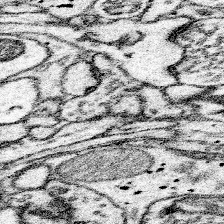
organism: Mouse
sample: Somatosensory cortex neuropil